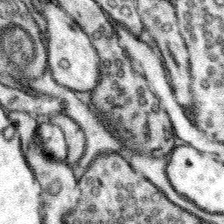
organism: Mouse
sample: Somatosensory cortex neuropil